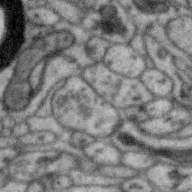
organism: Zebra finch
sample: Brain